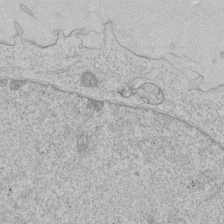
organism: Human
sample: Mitochondria in HCT116 cells